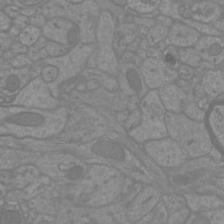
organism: Mouse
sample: Cortical neurons